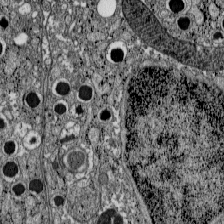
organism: C57BL Mouse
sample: Pancreatic islet